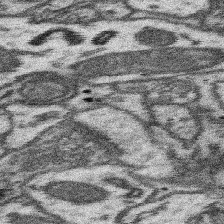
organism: Mouse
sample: Somatosensory cortex neuropil